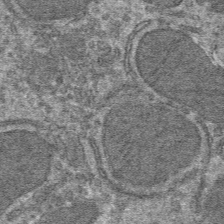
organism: Mouse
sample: Mouse hepatocytes